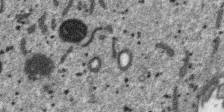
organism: Human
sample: Lung epithelial cells infected with SARS-CoV-2